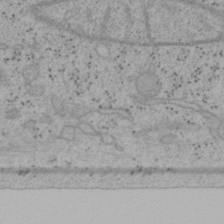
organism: Human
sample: HeLa cells